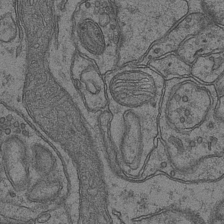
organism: Mouse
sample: CA1 Hippocampus